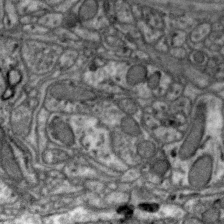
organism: Zebra finch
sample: Brain